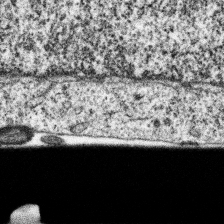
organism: Human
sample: HeLa cells